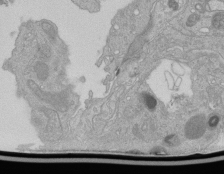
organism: Human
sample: Retinal organoid Rod and Cone cells